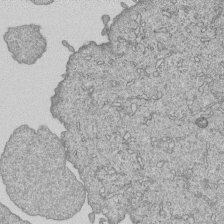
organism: Human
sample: MDA-MB-231 cells